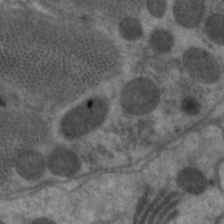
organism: C. elegans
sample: Pharynx